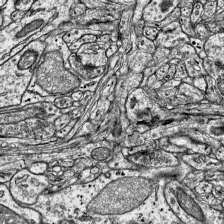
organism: Mouse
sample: Visual Cortex